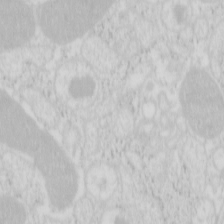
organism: Mouse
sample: Pancreas